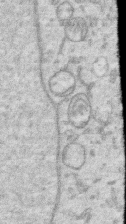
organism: Human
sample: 1205lu cells